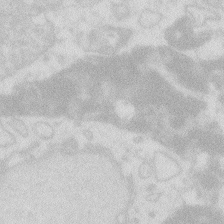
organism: Zebrafish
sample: Macrophage